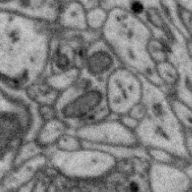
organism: Zebra finch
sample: Brain